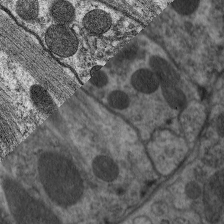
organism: C. elegans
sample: Pharynx